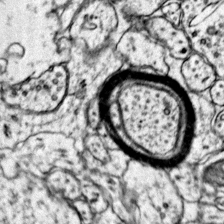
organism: Mouse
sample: Primary visual cortex